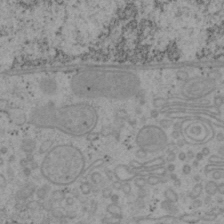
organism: Human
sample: HeLa cells